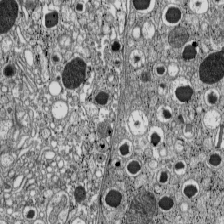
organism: C57BL Mouse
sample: Pancreatic islet